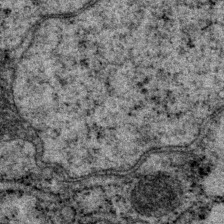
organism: P. pacificus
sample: Pharynx